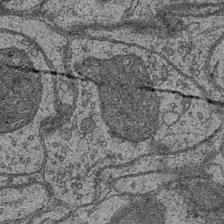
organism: Drosophila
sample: Optic medulla